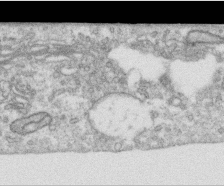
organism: Human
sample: Centriole in RPE cells